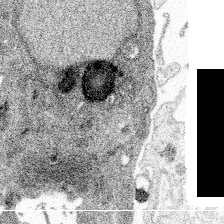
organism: Spongilla lacustris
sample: Multiple